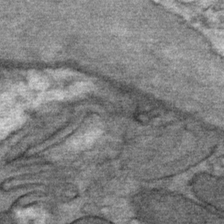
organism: Mouse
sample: Mouse Salivary gland